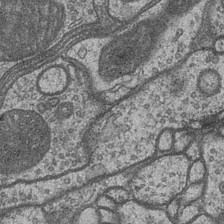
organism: Drosophila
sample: Optic medulla